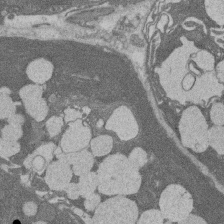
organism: Rat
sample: Salivary granule